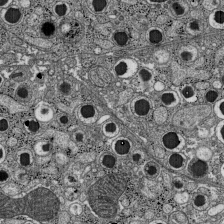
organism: C57BL Mouse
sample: Pancreatic islet